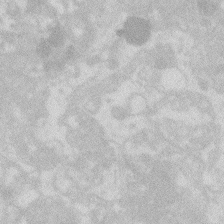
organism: Zebrafish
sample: Macrophage